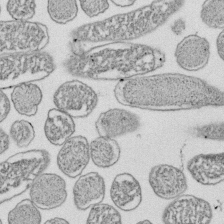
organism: E. coli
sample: Bacterial nucleoid